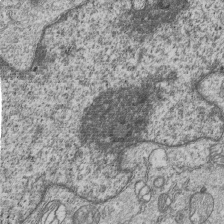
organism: Human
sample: MDA-MB-231 cells